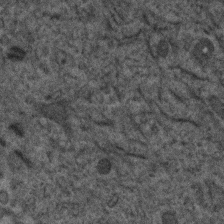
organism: Human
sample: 1205lu cells